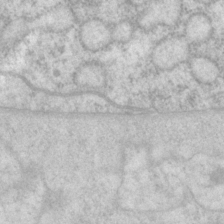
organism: P. pacificus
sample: Pharynx